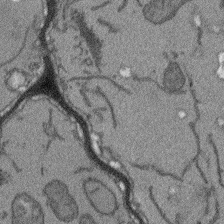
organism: Arabidopsis thaliana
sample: Root tip